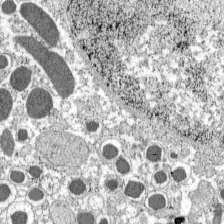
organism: C57BL Mouse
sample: Pancreatic islet